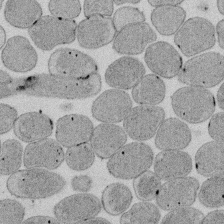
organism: E. coli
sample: Bacterial nucleoid